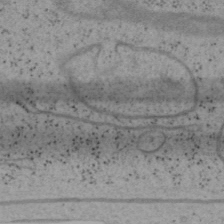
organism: Human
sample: HeLa cells